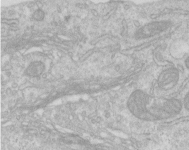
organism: Human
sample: Centriole in RPE cells